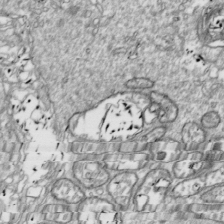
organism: Drosophila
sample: Cell division; meiosis; drosophila spermatocytes